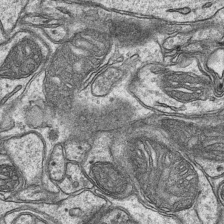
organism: Mouse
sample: CA1 Hippocampus